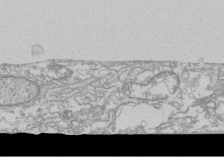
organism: Human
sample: CRL-1474